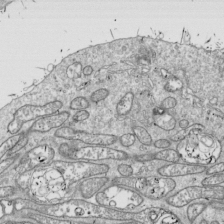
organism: Drosophila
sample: Cell division; meiosis; drosophila spermatocytes